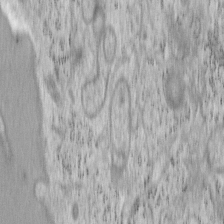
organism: Human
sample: HeLa cells